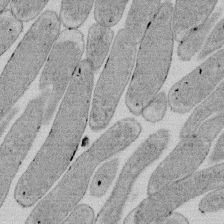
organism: E. coli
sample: Bacterial nucleoid